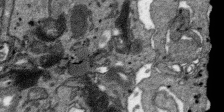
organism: Human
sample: Lung epithelial cells, uninfected (mock) control